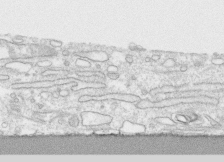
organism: Human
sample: CRL-1474